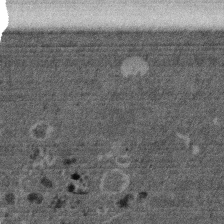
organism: Mouse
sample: Dividing mouse embryo 1 cell stage